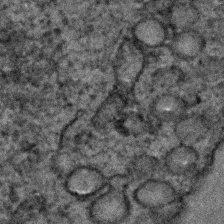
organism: C. elegans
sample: C. elegans embryo